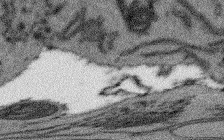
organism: Arabidopsis thaliana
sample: Root tip